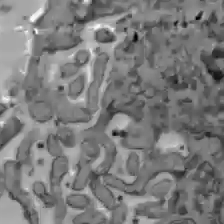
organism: C57BL Mouse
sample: Liver